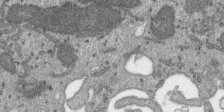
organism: Human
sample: Lung epithelial cells infected with SARS-CoV-2